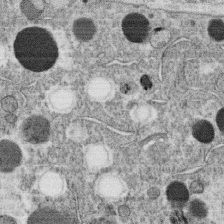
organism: C. elegans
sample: C. elegans oocyte; sperm cells